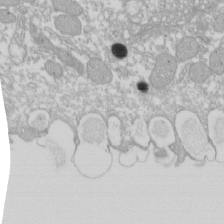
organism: Xenopus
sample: Cilia; centrioles in frog embryo cells